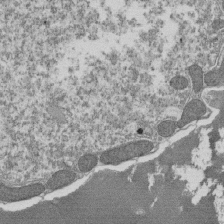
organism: Tetrahymena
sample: Cilia in tetrahymena